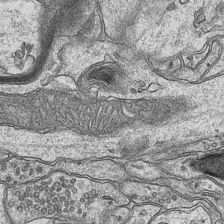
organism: Mouse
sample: CA1 Hippocampus